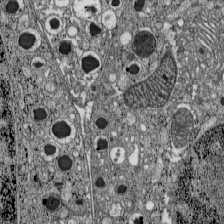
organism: C57BL Mouse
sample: Pancreatic islet